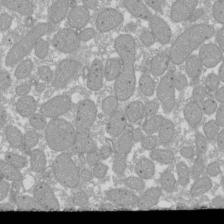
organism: Xenopus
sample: Cilia; centrioles in frog embryo cells